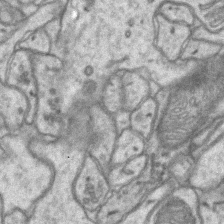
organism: Mouse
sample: CA1 Hippocampus